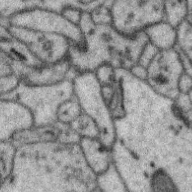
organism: Zebra finch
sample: Brain